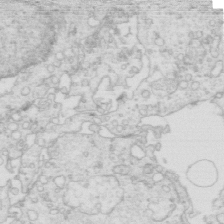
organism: Mouse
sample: Multiciliated cells